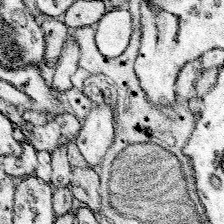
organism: Mouse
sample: Somatosensory cortex neuropil